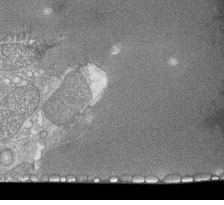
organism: Tetrahymena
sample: Cilia in tetrahymena